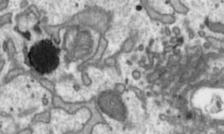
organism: Toxoplasma gondii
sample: Parasites in a vacuole inside a host cell